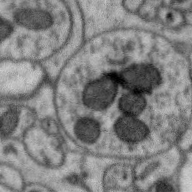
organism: Zebra finch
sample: Brain